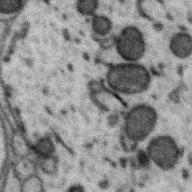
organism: Zebra finch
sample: Brain